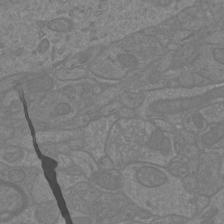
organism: Mouse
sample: Cortical neurons